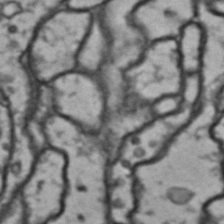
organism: Drosophila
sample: Brain